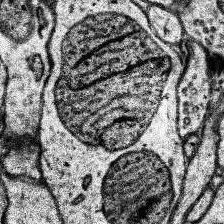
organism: Human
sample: Temporal Lobe